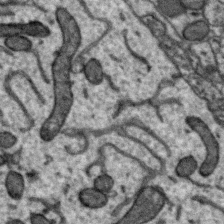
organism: Zebra finch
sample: Brain